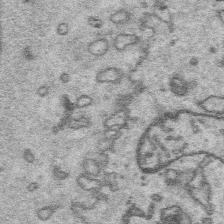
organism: Platynereis dumerilii